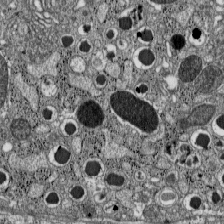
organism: C57BL Mouse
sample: Pancreatic islet